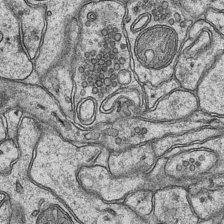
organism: Mouse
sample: CA1 Hippocampus